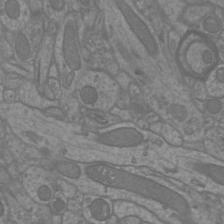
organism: Mouse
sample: Cortical neurons